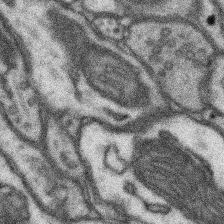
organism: Mouse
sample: Somatosensory cortex neuropil